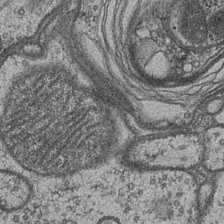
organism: Drosophila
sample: Optic medulla